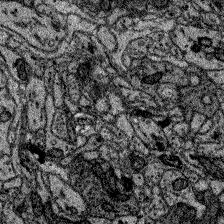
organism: Zebrafish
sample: Larval olfactory bulb